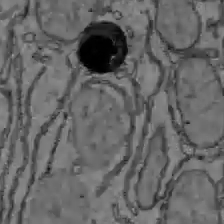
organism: C57BL Mouse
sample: Liver